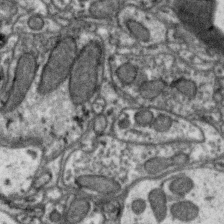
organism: Zebra finch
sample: Brain